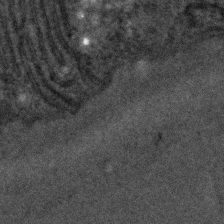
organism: C. elegans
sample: C. elegans embryo